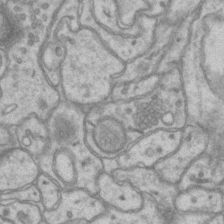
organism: Mouse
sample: CA1 Hippocampus